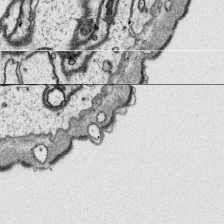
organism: Platynereis dumerilii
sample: Parapodia